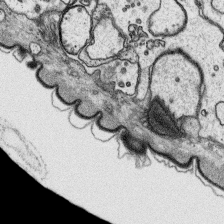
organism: Platynereis dumerilii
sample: Parapodia